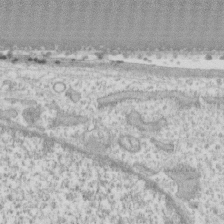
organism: Human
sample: CRL-1474